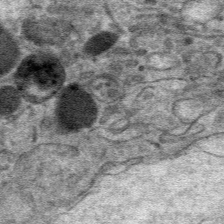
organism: Mouse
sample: Mouse hepatocytes